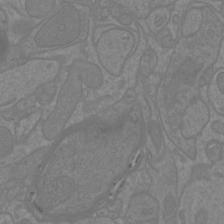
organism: Mouse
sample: Cortical neurons